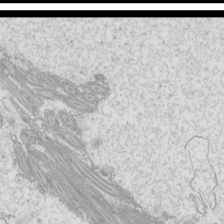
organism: Mouse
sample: Cilia; mouse epididymis